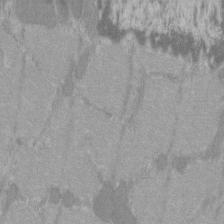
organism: C57BL Mouse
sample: Tibialis anterior muscle cell